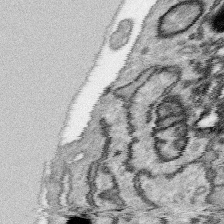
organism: Human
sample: HeLa cells